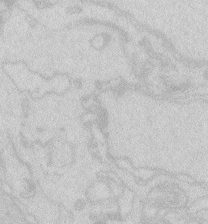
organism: Zebrafish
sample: Macrophage